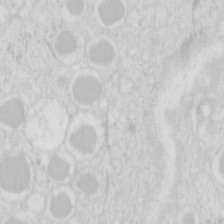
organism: Mouse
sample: Pancreas